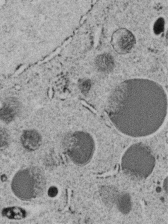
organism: C. elegans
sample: C. elegans embryo early stage